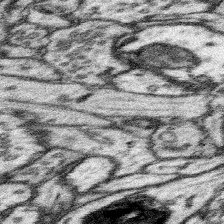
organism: Mouse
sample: Somatosensory cortex neuropil